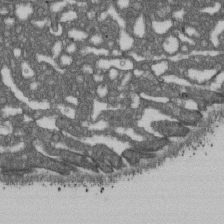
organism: Drosophila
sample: Nephrocyte